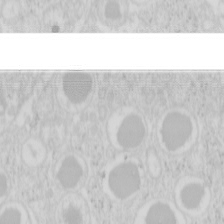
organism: Mouse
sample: Pancreas